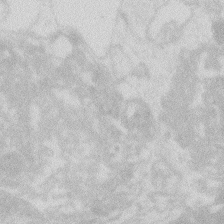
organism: Zebrafish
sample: Macrophage